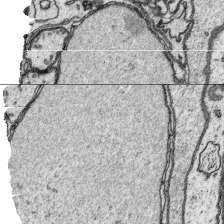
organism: Platynereis dumerilii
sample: Parapodia